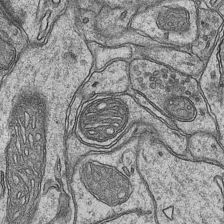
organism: Mouse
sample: CA1 Hippocampus